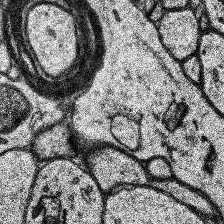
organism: Human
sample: Temporal Lobe